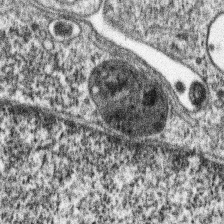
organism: Human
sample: HeLa cells